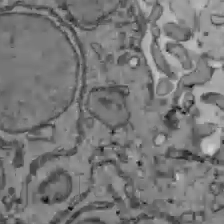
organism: C57BL Mouse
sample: Liver